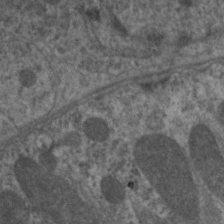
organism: C. elegans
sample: Pharynx